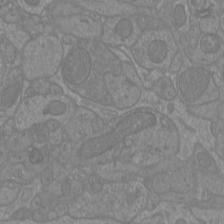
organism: Mouse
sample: Cortical neurons